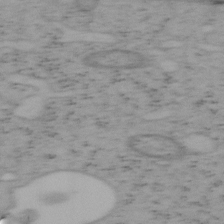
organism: Mouse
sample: OT-I killer T cells with ID8 ovarian cancer cells